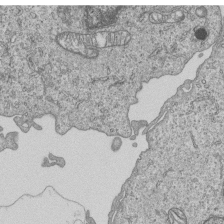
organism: Human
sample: MDA-MB-231 cells